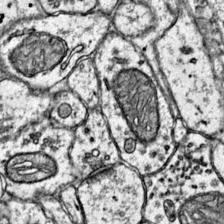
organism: Mouse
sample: Primary visual cortex